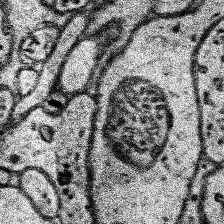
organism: Human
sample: Temporal Lobe